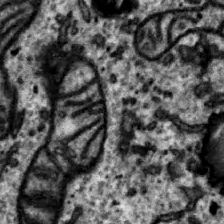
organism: Human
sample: HeLa cells